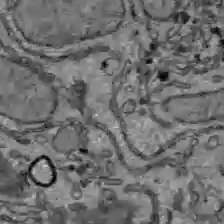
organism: C57BL Mouse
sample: Liver